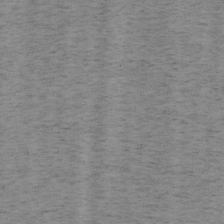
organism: Mouse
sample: OT-I killer T cells with ID8 ovarian cancer cells